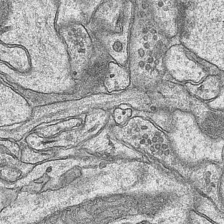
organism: Mouse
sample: CA1 Hippocampus